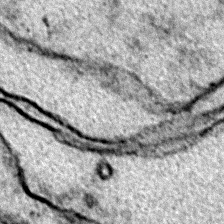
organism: Zebrafish